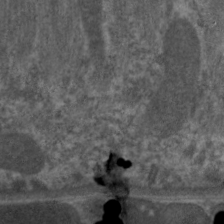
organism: C. elegans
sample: Pharynx